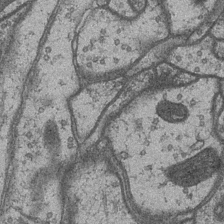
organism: Drosophila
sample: Optic medulla